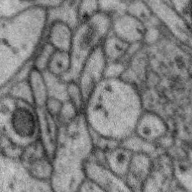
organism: Zebra finch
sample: Brain